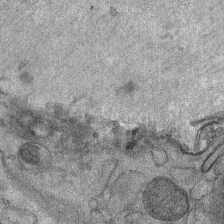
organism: Mouse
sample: Mouse Salivary gland